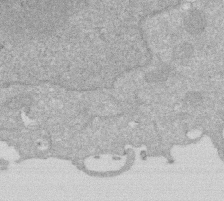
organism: Human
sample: HIV infected U937 cells